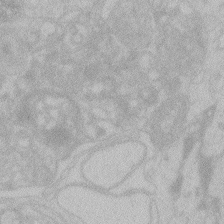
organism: Zebrafish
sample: Macrophage infected with Toxoplasma gondii